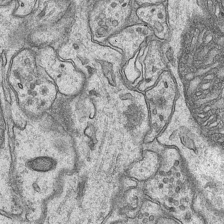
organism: Mouse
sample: CA1 Hippocampus